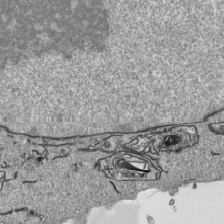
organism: Human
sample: Mitochondria in HCT116 cells